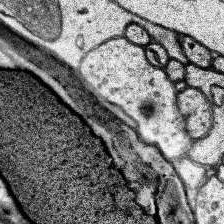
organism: Human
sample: Temporal Lobe